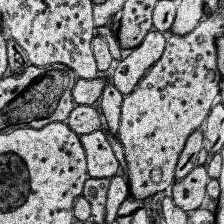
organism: Human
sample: Temporal Lobe